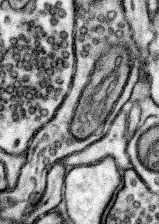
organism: Mouse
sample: Somatosensory cortex neuropil